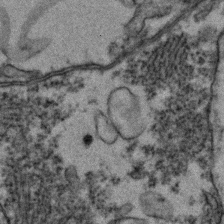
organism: Zebrafish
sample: Zebrafish embryo